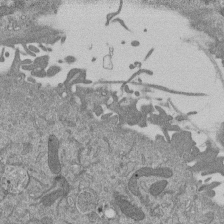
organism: Mouse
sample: ED-1 cell nuclei; centrioles